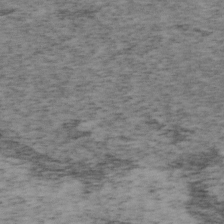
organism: Mouse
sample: OT-I killer T cells with ID8 ovarian cancer cells